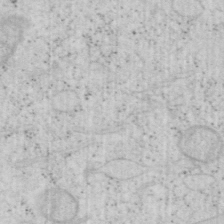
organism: Human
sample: HeLa cells